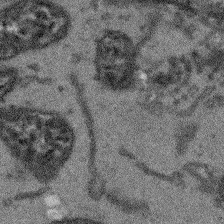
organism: Arabidopsis thaliana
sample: Root tip